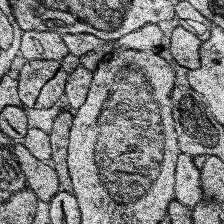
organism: Human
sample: Temporal Lobe